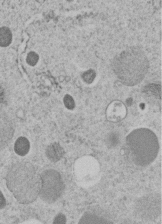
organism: C. elegans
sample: C. elegans embryo early stage